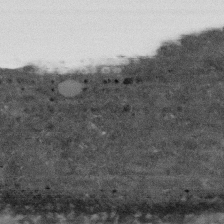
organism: Human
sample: Fibroblast cells